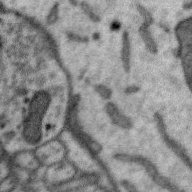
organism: Zebra finch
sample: Brain